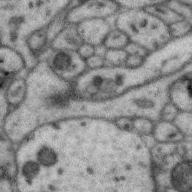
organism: Zebra finch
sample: Brain